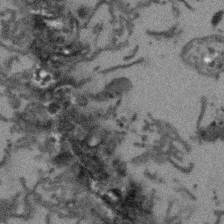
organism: Arabidopsis thaliana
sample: Root tip